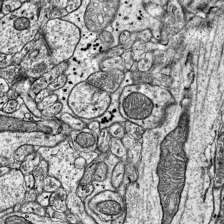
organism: Mouse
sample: Visual Cortex